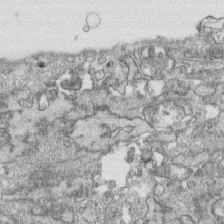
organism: Human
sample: CRL-1474